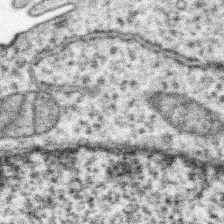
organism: Human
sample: HeLa cells